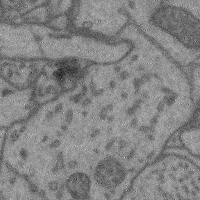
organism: Mouse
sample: Cerebral cortex